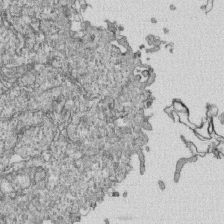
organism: Human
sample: HeLa cell HIV synapse